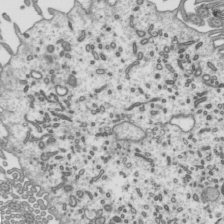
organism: Mouse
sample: Mouse epididymis efferent ductule cilia